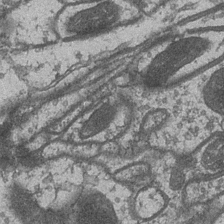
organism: Drosophila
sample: Optic medulla